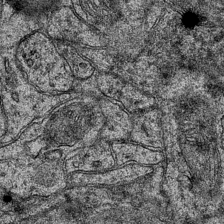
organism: Mouse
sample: CA1 Hippocampus